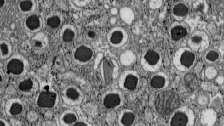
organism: C57BL Mouse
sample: Pancreatic islet